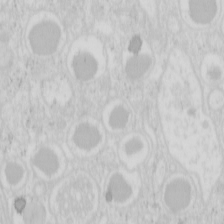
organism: Mouse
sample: Pancreas